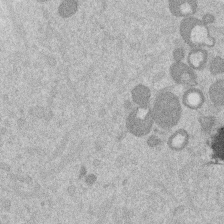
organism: Mouse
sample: Dividing mouse embryo 1 cell stage